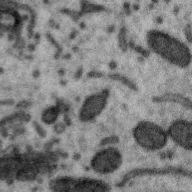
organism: Zebra finch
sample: Brain